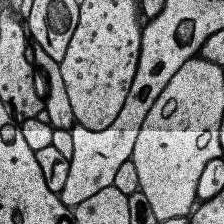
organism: Human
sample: Temporal Lobe